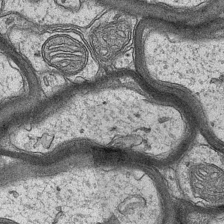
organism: Mouse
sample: CA1 Hippocampus